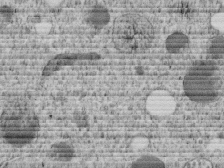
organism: C. elegans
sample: C. elegans embryo early stage